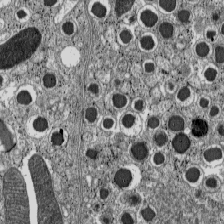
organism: C57BL Mouse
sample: Pancreatic islet